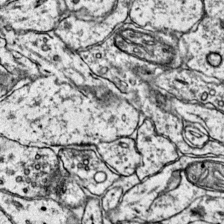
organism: Mouse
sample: Primary visual cortex